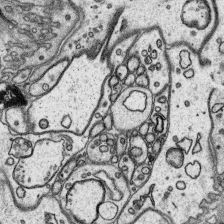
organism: Platynereis dumerilii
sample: Parapodia